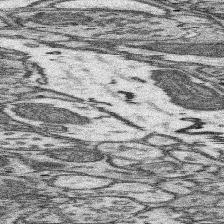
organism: Mouse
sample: Somatosensory cortex neuropil